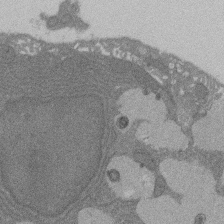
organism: Rat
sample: Salivary granule